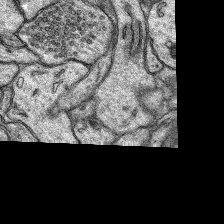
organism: Rat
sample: Hippocampus